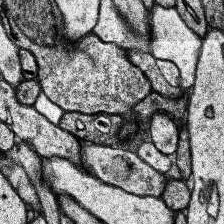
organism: Human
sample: Temporal Lobe